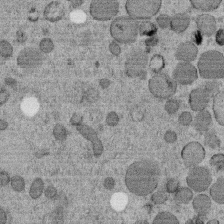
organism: C. elegans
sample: C. elegans embryo early stage